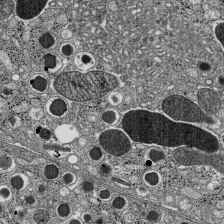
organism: C57BL Mouse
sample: Pancreatic islet